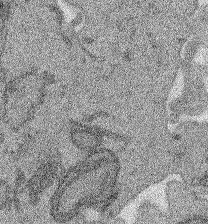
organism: Human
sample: HeLa cells